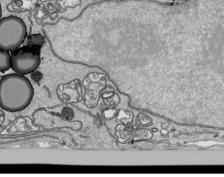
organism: Human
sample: Mitochondria in HCT116 cells